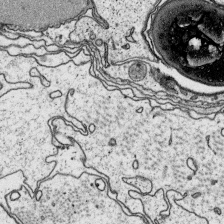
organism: Platynereis dumerilii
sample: Parapodia